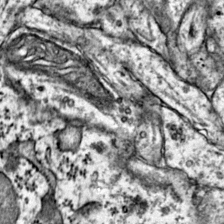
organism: Mouse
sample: Primary visual cortex